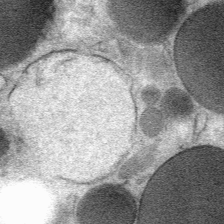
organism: Mouse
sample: Mouse Salivary gland